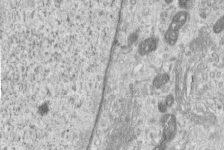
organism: Human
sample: Centriole in RPE cells